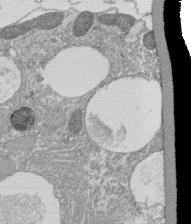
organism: Tetrahymena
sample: Cilia in tetrahymena